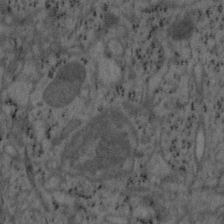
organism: Human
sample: HeLa cells